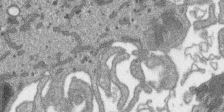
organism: Human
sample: Lung epithelial cells infected with SARS-CoV-2